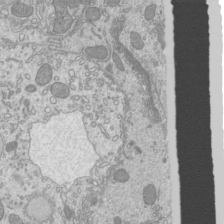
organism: Mouse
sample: Cilia; mouse epididymis